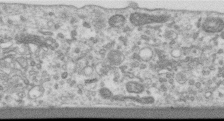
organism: Human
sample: Centriole in RPE cells